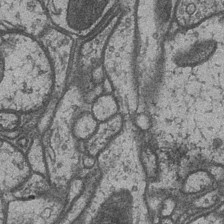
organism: Drosophila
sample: Optic medulla